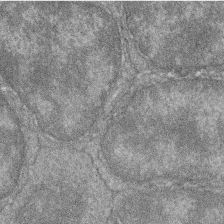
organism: Zebrafish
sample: Cilia; retinal pigment epithelium